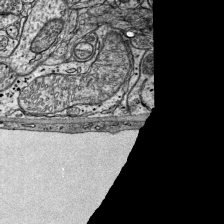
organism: Mouse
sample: Visual Cortex